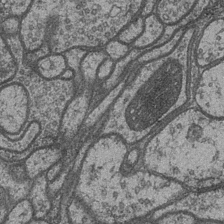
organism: Drosophila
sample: Optic medulla